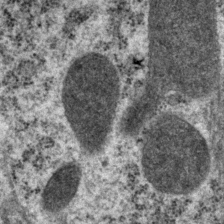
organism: P. pacificus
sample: Pharynx